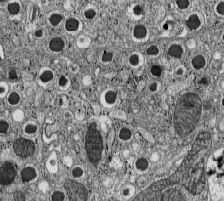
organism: C57BL Mouse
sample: Pancreatic islet